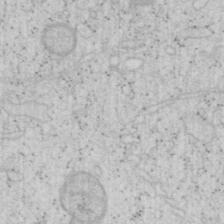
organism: Human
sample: HeLa cells